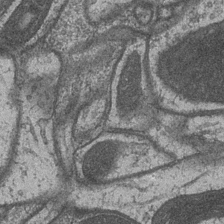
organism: Drosophila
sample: Optic medulla